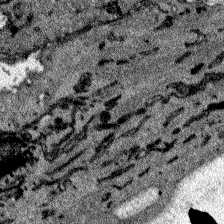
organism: Zebrafish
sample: Larval olfactory bulb